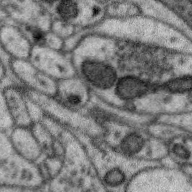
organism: Zebra finch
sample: Brain